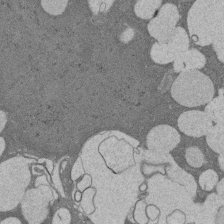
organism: Rat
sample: Salivary granule